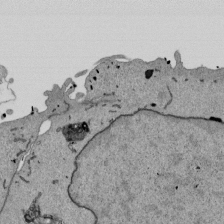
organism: Mouse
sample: ED-1 cell nuclei; centrioles